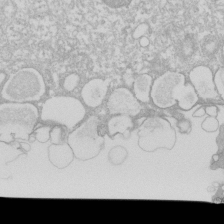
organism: Xenopus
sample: Cilia; centrioles in frog embryo cells